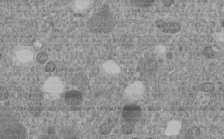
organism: C. elegans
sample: C. elegans embryo early stage